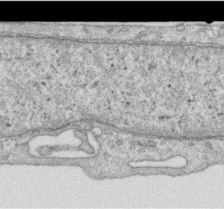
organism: Human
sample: Centriole in RPE cells